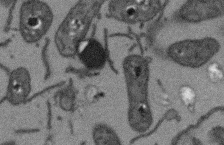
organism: Arabidopsis thaliana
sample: Root tip